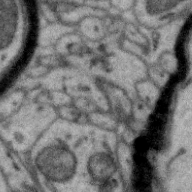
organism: Zebra finch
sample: Brain